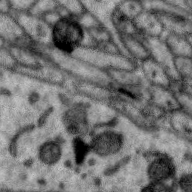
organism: Zebra finch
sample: Brain